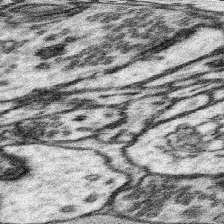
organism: Mouse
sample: Somatosensory cortex neuropil